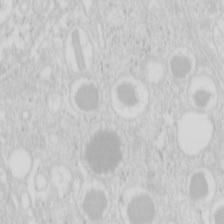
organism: Mouse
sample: Pancreas